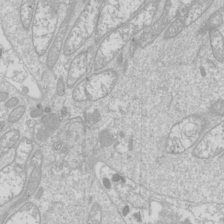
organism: Drosophila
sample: Cell division; meiosis; drosophila spermatocytes